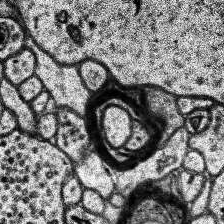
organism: Human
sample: Temporal Lobe